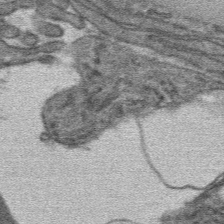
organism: Mouse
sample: Mouse hepatocytes